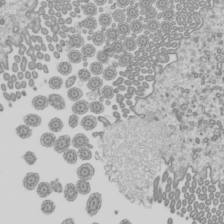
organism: Mouse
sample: Cilia; mouse epididymis